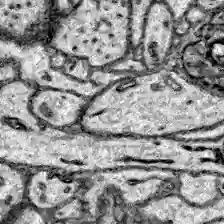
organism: Zebrafish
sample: Brain